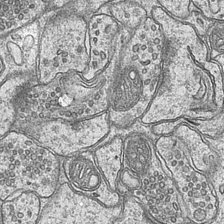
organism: Mouse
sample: CA1 Hippocampus